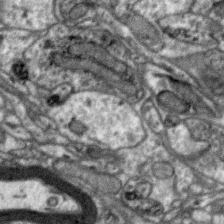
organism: Zebra finch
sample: Brain